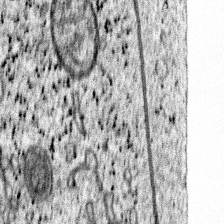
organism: Human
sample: HeLa cells